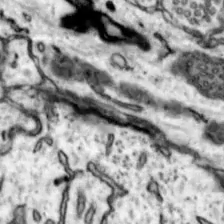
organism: Mouse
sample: Nucleus accumbens